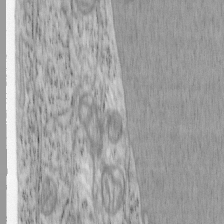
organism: Human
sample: HeLa cells